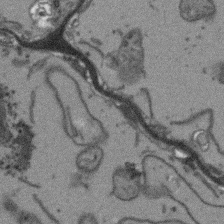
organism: Arabidopsis thaliana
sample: Root tip